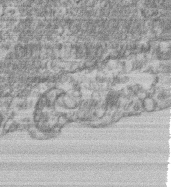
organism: Mouse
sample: T cell stromal cell synapse